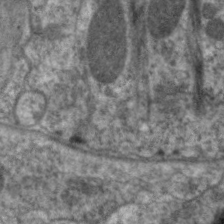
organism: C. elegans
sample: Pharynx